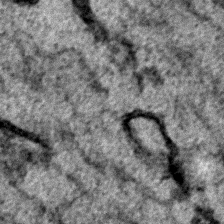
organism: C. elegans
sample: C. elegans embryo